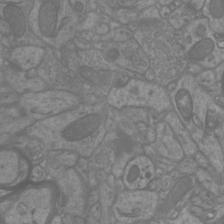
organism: Mouse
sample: Cortical neurons